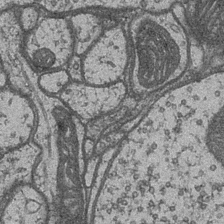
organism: Drosophila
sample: Optic medulla